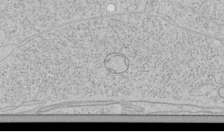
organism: Human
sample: Mitochondria in HCT116 cells